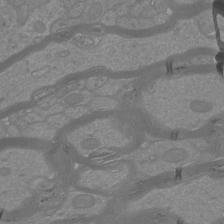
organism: Mouse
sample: Cortical neurons